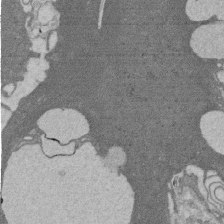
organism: Rat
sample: Salivary granule